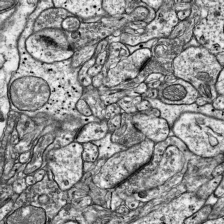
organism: Mouse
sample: Visual Cortex